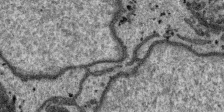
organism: Human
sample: Lung epithelial cells, uninfected (mock) control